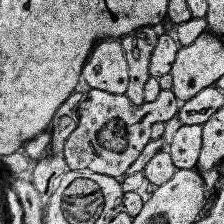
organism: Human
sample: Temporal Lobe